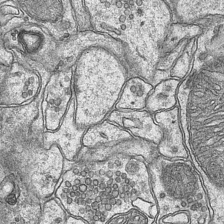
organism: Mouse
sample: CA1 Hippocampus